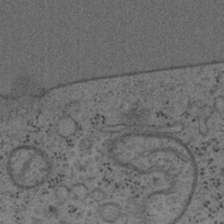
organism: Human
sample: HeLa cells